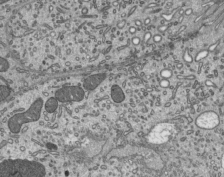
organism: Mouse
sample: Mouse epididymis efferent ductule cilia